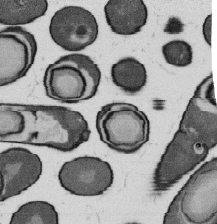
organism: B. subtilis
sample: Bacterial spore